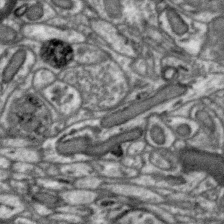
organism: Zebra finch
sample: Brain